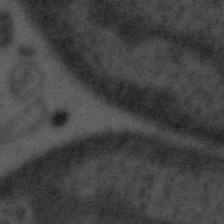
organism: Tuwongella immobilis